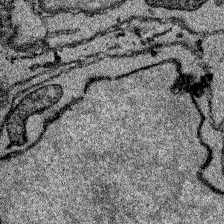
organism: Zebrafish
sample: Larval olfactory bulb